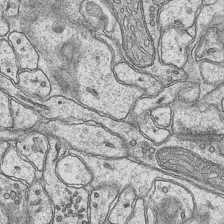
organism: Mouse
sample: CA1 Hippocampus